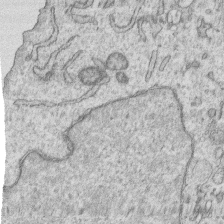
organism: Human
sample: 1205lu cells